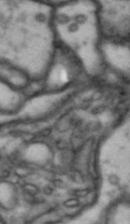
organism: Drosophila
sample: Brain